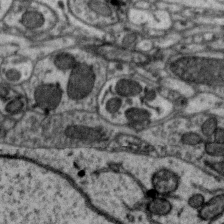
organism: Zebra finch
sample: Brain